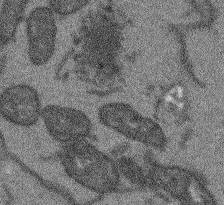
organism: Arabidopsis thaliana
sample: Root tip